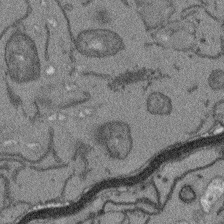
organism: Arabidopsis thaliana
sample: Root tip